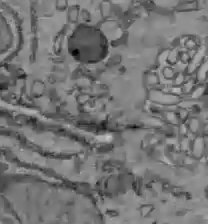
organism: C57BL Mouse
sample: Liver